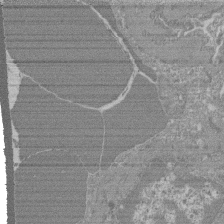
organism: Mouse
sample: Glomerulus